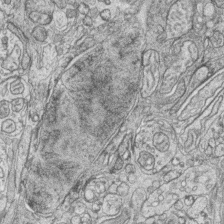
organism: Zebrafish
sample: synaptic ribbons in rod cells and cone cells